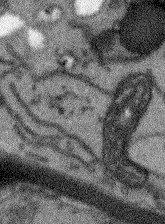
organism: Arabidopsis thaliana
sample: Root tip